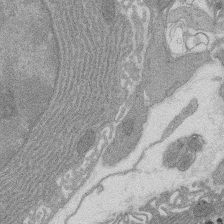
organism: Rat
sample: Salivary granule